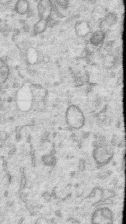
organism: Human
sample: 1205lu cells